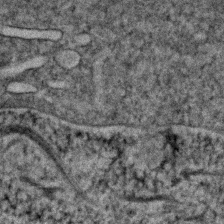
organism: Human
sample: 1205lu cells